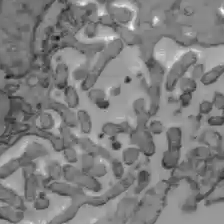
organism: C57BL Mouse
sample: Liver